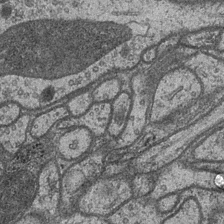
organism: Drosophila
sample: Optic medulla